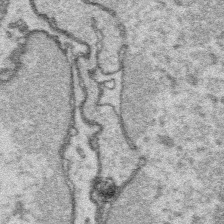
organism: Platynereis dumerilii